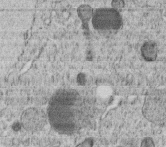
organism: C. elegans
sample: C. elegans embryo early stage